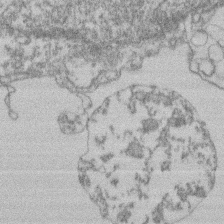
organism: Mouse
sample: T cell stromal cell synapse